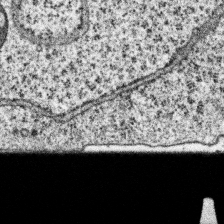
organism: Human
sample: HeLa cells